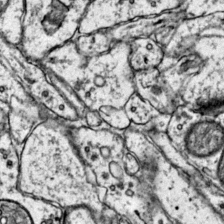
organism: Mouse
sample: Primary visual cortex